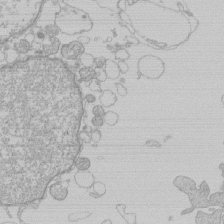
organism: Human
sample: Macrophage cells